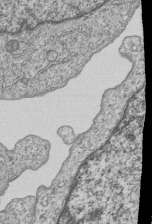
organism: Human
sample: MDA-MB-231 cells